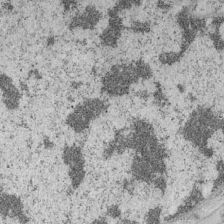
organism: Mouse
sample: OT-I killer T cells with ID8 ovarian cancer cells